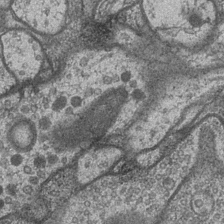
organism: Drosophila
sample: Optic medulla